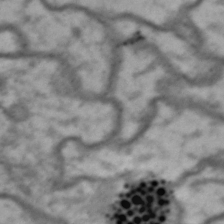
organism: Drosophila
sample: Brain